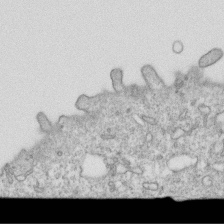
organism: Mouse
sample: Activated OT-1 CD8+ T cells